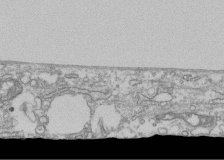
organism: Human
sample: Fibroblast cells